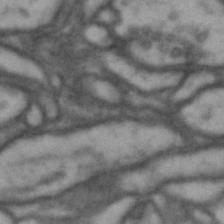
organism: Drosophila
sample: Brain